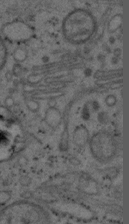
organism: Human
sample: HeLa cells